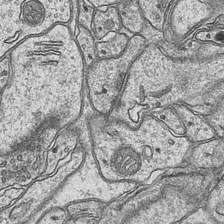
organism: Mouse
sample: CA1 Hippocampus